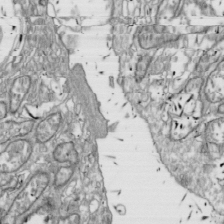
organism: Drosophila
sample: Cell division; meiosis; drosophila spermatocytes